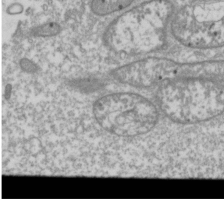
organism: Drosophila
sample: Cell division; meiosis; drosophila spermatocytes